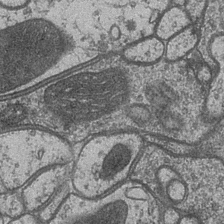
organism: Drosophila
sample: Optic medulla